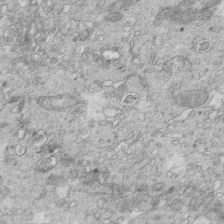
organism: Mouse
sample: Multiciliated cells